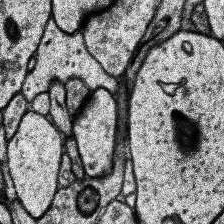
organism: Human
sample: Temporal Lobe